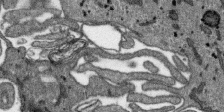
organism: Human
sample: Lung epithelial cells, uninfected (mock) control